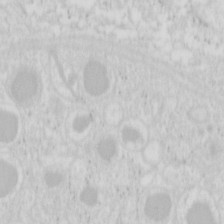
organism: Mouse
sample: Pancreas